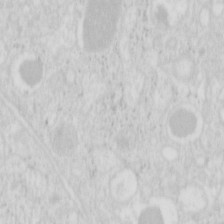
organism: Mouse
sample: Pancreas